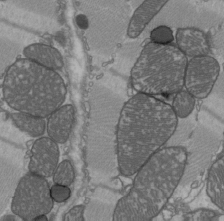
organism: C57BL Mouse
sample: Heart